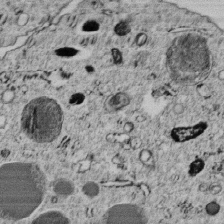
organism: C. elegans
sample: C. elegans embryo early stage